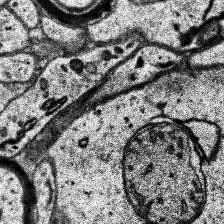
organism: Human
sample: Temporal Lobe